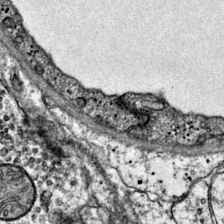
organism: Mouse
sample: Primary visual cortex